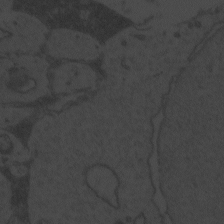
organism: Zebrafish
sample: Macrophage infected with Toxoplasma gondii